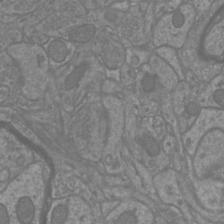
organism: Mouse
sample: Cortical neurons